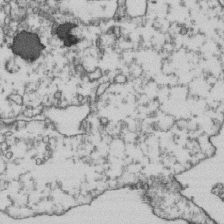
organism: Human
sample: Activated Jurkat CD4+ T cells